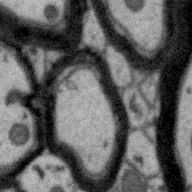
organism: Zebra finch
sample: Brain